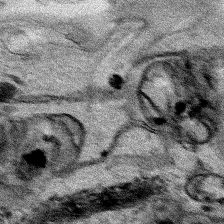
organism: Human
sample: Mitochondria in HCT116 cells